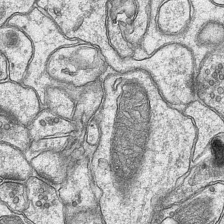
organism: Mouse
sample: CA1 Hippocampus